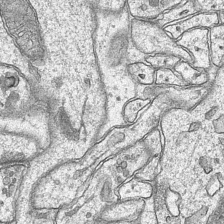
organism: Mouse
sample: CA1 Hippocampus